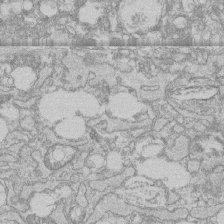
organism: Human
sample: CRL-1474